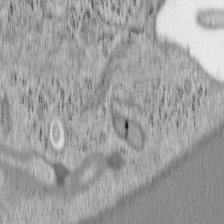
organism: Human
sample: HeLa cells